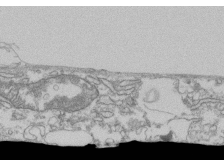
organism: Human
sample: Fibroblast cells